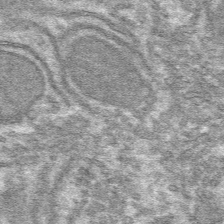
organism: Mouse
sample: Mouse hepatocytes